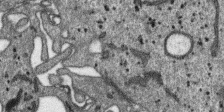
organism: Human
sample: Lung epithelial cells infected with SARS-CoV-2